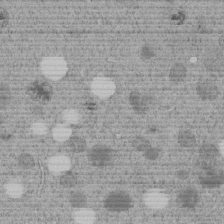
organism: C. elegans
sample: C. elegans embryo early stage